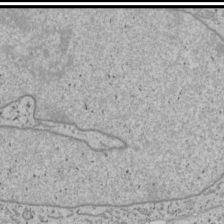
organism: Human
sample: Mitochondria in U2OS cells